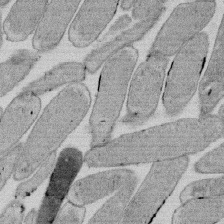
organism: E. coli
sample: Bacterial nucleoid